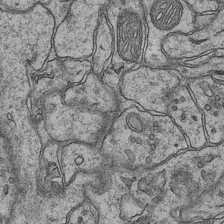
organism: Mouse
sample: CA1 Hippocampus